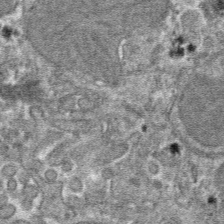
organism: Mouse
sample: Mouse hepatocytes